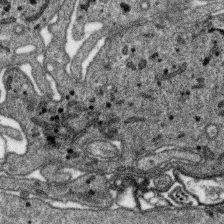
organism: Human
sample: Lung epithelial cells infected with SARS-CoV-2